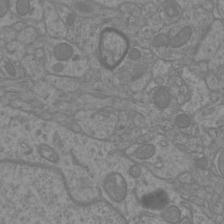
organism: Mouse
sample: Cortical neurons